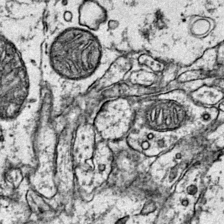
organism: Mouse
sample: Primary visual cortex